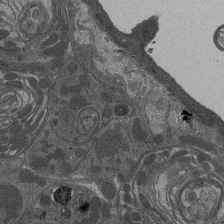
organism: Drosophila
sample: Antenna